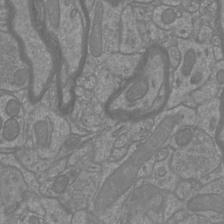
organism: Mouse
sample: Cortical neurons